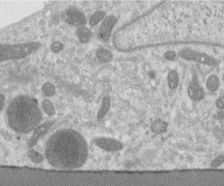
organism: Human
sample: Centriole in RPE cells